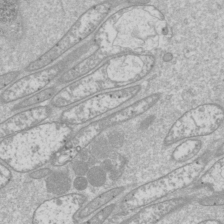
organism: Drosophila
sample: Cell division; meiosis; drosophila spermatocytes